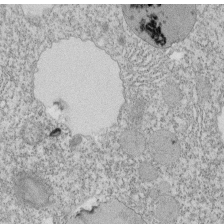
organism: Tetrahymena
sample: Cilia in tetrahymena